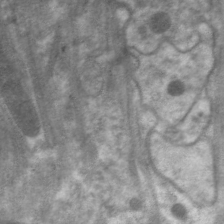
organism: C. elegans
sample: Pharynx